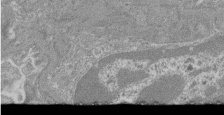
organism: Mouse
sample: Glomerulus